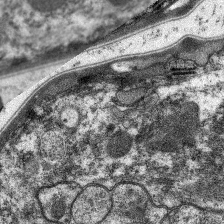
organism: C. elegans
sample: Pharynx